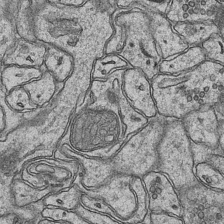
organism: Mouse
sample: CA1 Hippocampus